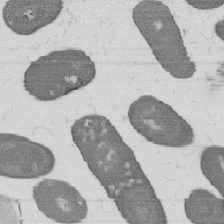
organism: B. subtilis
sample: Bacterial spore